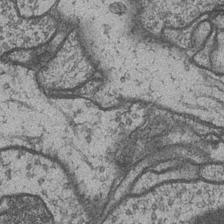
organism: Drosophila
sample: Optic medulla